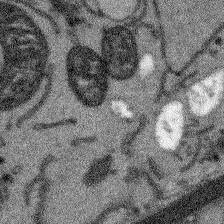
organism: Arabidopsis thaliana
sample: Root tip